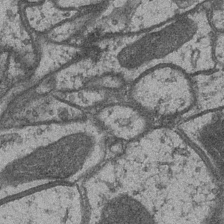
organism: Drosophila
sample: Optic medulla